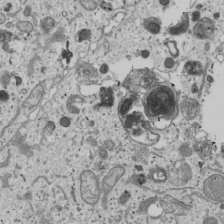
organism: Human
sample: Mitochondria in U2OS cells